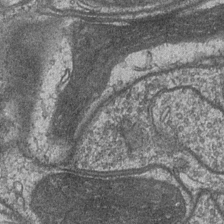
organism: Drosophila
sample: Optic medulla